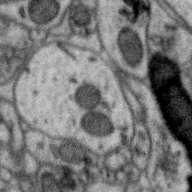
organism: Zebra finch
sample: Brain